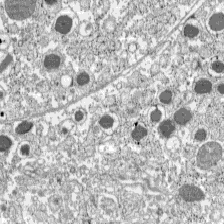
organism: C57BL Mouse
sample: Pancreatic islet